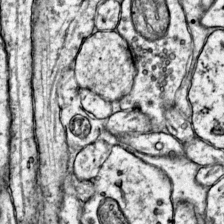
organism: Mouse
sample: Primary visual cortex